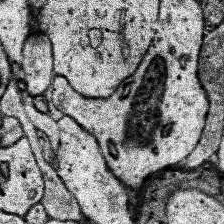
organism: Human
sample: Temporal Lobe